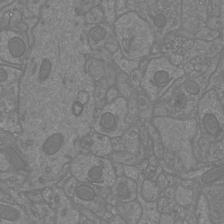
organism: Mouse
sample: Cortical neurons